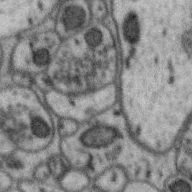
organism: Zebra finch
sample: Brain